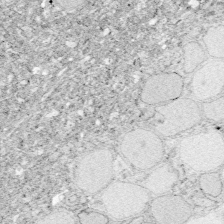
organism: Zebrafish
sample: Whole-Brain